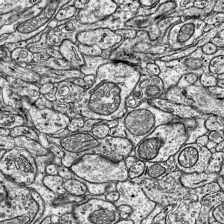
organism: Mouse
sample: Visual Cortex